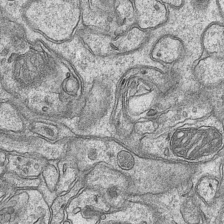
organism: Mouse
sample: CA1 Hippocampus